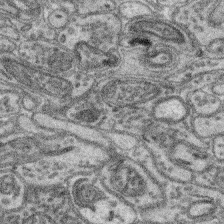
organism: Mouse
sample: Retina